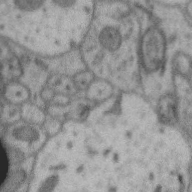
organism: Zebra finch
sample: Brain